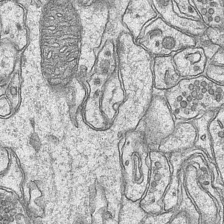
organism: Mouse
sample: CA1 Hippocampus